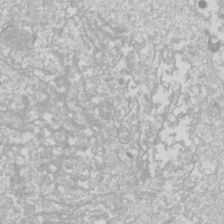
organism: Drosophila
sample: Cell division; meiosis; drosophila spermatocytes